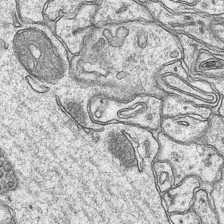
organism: Mouse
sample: CA1 Hippocampus